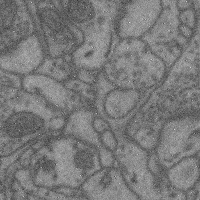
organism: Mouse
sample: Cerebral cortex